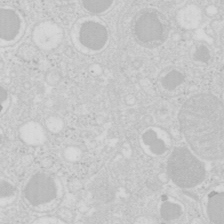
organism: Mouse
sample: Pancreas